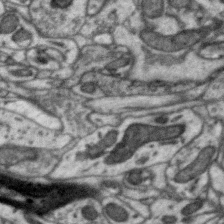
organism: Zebra finch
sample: Brain